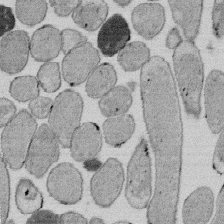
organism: E. coli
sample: Bacterial nucleoid